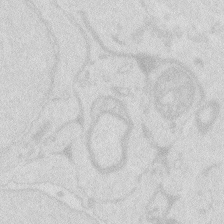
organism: Zebrafish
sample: Macrophage